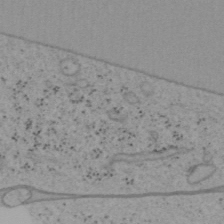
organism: Human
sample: HeLa cells